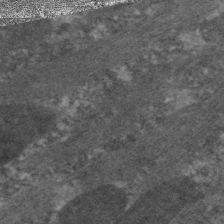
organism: C. elegans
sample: Pharynx